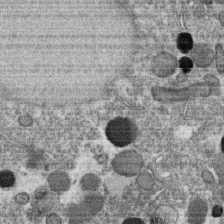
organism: C. elegans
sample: C. elegans oocyte; sperm cells